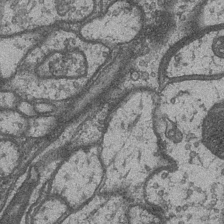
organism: Drosophila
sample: Optic medulla